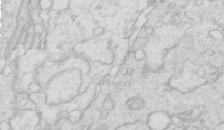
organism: Mouse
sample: Multiciliated cells